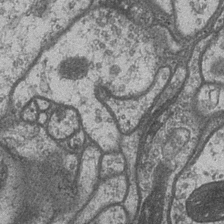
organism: Drosophila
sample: Optic medulla